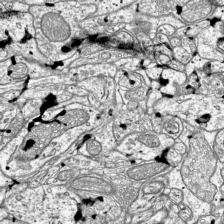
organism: Mouse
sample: Visual Cortex